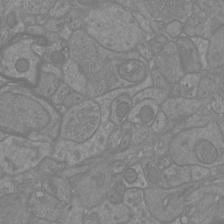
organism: Mouse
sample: Cortical neurons